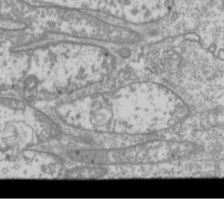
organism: Drosophila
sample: Cell division; meiosis; drosophila spermatocytes